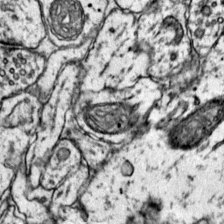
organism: Mouse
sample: Primary visual cortex